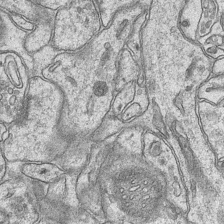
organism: Mouse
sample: CA1 Hippocampus